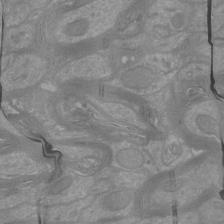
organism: Mouse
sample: Cortical neurons